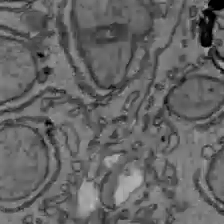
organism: C57BL Mouse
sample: Liver